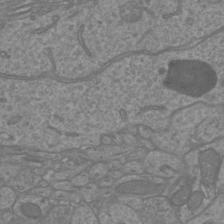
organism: Mouse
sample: Cortical neurons